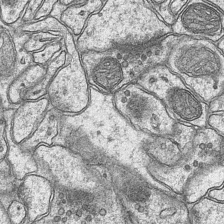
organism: Mouse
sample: CA1 Hippocampus